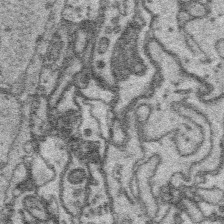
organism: Platynereis dumerilii